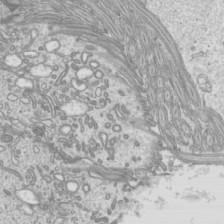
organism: Mouse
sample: Cilia; mouse epididymis